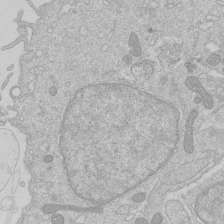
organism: Human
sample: Macrophage cells